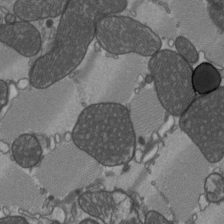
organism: C57BL Mouse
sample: Heart